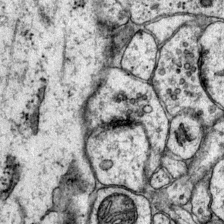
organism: Mouse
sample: Primary visual cortex